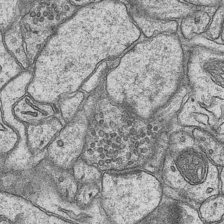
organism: Mouse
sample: CA1 Hippocampus